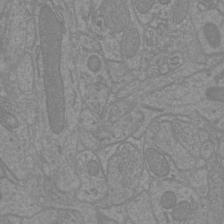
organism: Mouse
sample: Cortical neurons